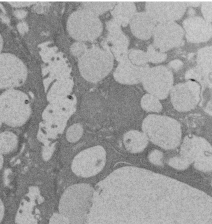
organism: Rat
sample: Salivary granule